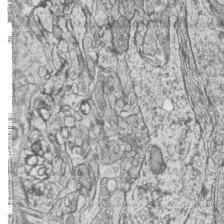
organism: Zebrafish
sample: synaptic ribbons in rod cells and cone cells